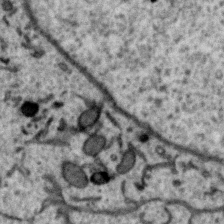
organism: Zebra finch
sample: Brain